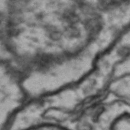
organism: Drosophila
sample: Brain